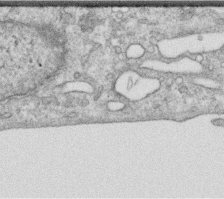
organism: Human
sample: Centriole in RPE cells